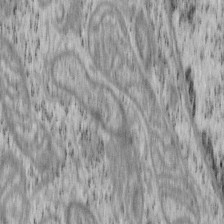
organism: Human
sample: HeLa cells